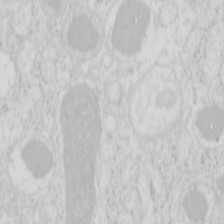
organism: Mouse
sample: Pancreas